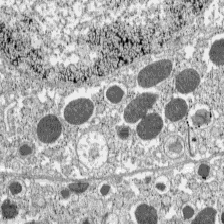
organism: C57BL Mouse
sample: Pancreatic islet